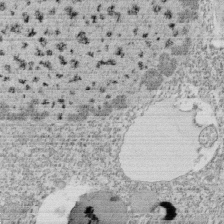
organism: Tetrahymena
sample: Cilia in tetrahymena